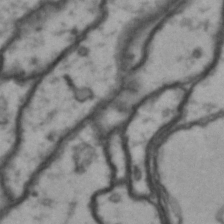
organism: Drosophila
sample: Brain